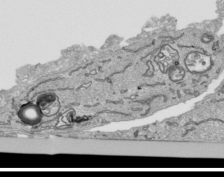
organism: Human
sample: Mitochondria in HCT116 cells